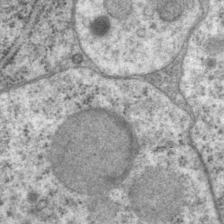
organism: P. pacificus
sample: Pharynx